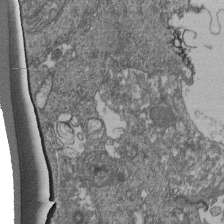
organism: Human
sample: Retinal organoid Rod and Cone cells